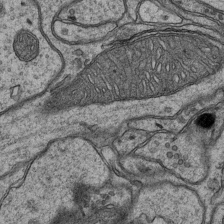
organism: Mouse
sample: CA1 Hippocampus